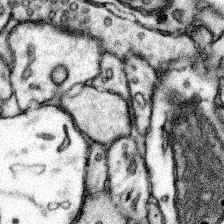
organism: Mouse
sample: Somatosensory cortex neuropil